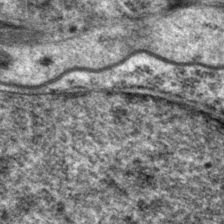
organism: P. pacificus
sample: Pharynx